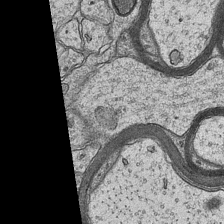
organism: Mouse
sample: CA1 Hippocampus